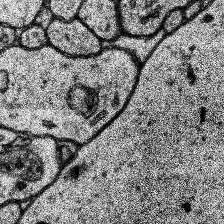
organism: Human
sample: Temporal Lobe